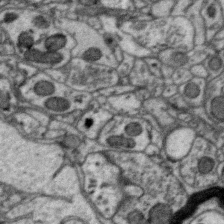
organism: Zebra finch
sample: Brain